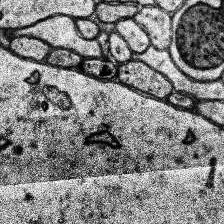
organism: Human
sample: Temporal Lobe